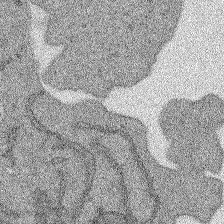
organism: Human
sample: HeLa cells